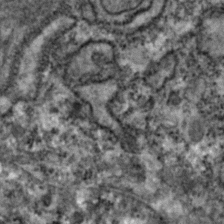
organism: Zebrafish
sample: Zebrafish embryo